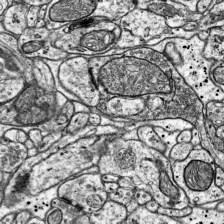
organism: Mouse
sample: Visual Cortex